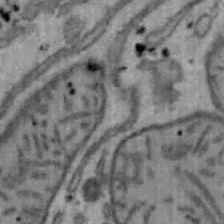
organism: Mouse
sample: Liver